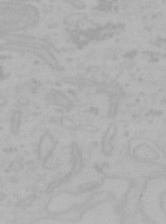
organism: Mouse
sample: Choroid plexus